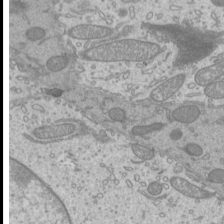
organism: Mouse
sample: Cilia; mouse epididymis